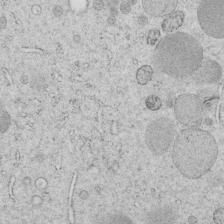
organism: C. elegans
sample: C. elegans embryo early stage